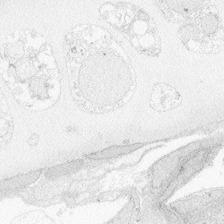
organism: Zebrafish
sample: Whole-Brain